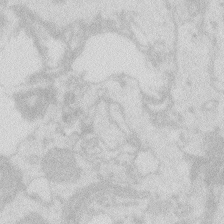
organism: Zebrafish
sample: Macrophage